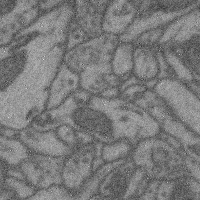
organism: Mouse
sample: Cerebral cortex